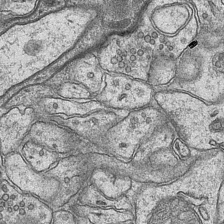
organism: Mouse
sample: CA1 Hippocampus